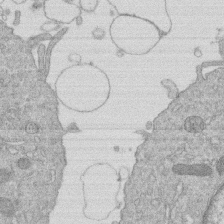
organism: Human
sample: Macrophage cells